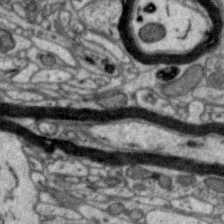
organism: Zebra finch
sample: Brain